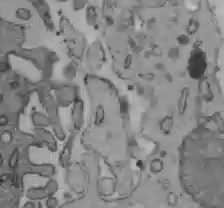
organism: C57BL Mouse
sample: Liver